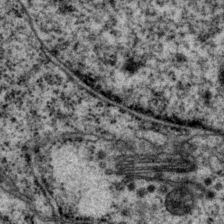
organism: P. pacificus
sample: Pharynx